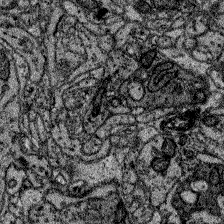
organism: Zebrafish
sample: Larval olfactory bulb